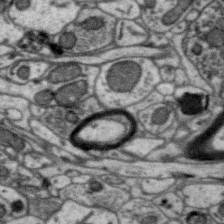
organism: Zebra finch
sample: Brain